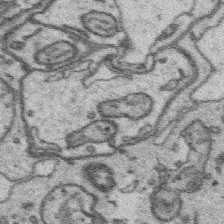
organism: Platynereis dumerilii